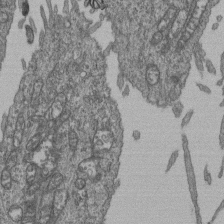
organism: Human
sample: Retinal organoid Rod and Cone cells